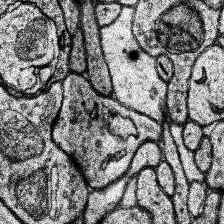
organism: Human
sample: Temporal Lobe